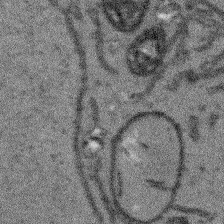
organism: Arabidopsis thaliana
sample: Root tip